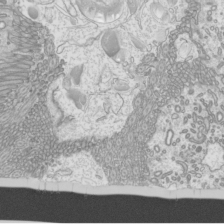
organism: Mouse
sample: Cilia; mouse epididymis